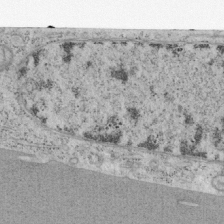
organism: Human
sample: HeLa cells